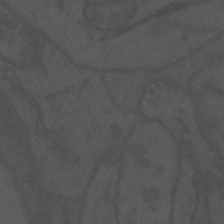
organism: Mouse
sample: Suprachiasmatic nucleus